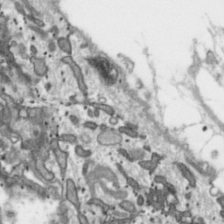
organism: Toxoplasma gondii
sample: Parasites in a vacuole inside a host cell